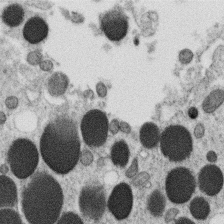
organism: C. elegans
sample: C. elegans oocyte; sperm cells